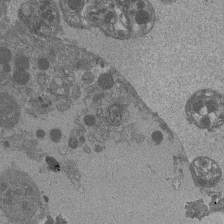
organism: Drosophila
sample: Antenna